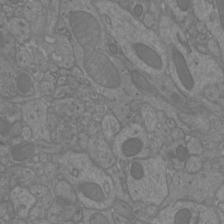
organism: Mouse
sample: Cortical neurons